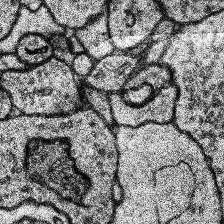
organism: Human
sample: Temporal Lobe